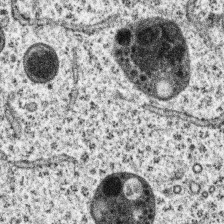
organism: Human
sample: HeLa cells